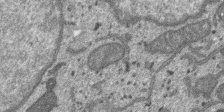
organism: Human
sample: Lung epithelial cells infected with SARS-CoV-2